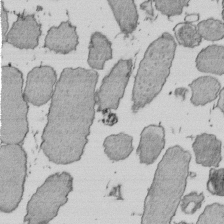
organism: E. coli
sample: Bacterial nucleoid